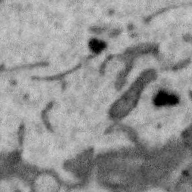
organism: Zebra finch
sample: Brain